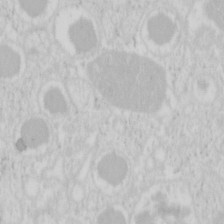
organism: Mouse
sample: Pancreas